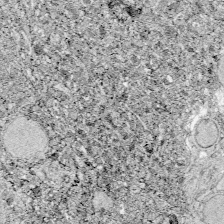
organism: Zebrafish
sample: Whole-Brain